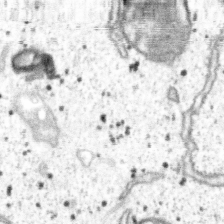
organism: Human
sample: HeLa cells